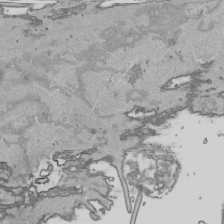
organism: Human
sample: Mitochondria in HCT116 cells